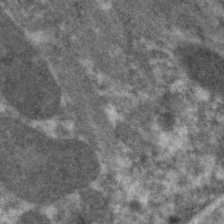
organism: C. elegans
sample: Pharynx